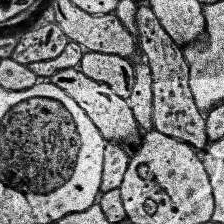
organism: Human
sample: Temporal Lobe